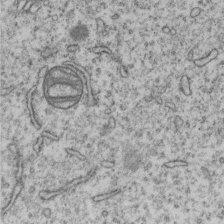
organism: Human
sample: MDA-MB-231 cells